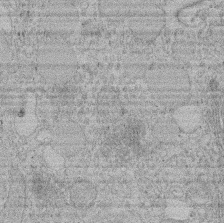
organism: Rat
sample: Salivary granule